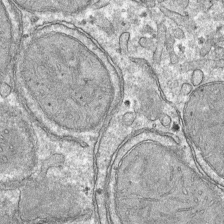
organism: Mouse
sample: Mouse hepatocytes